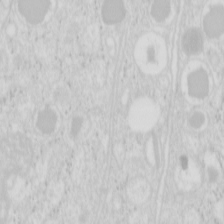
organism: Mouse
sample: Pancreas